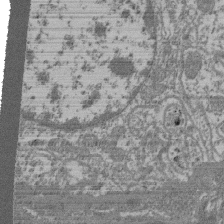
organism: Mouse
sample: Glomerulus